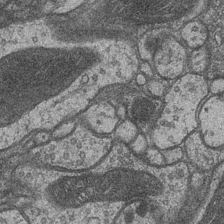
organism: Drosophila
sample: Optic medulla